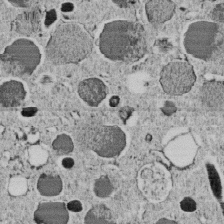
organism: C. elegans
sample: C. elegans embryo early stage